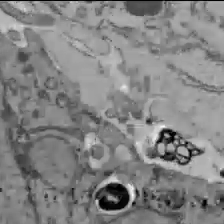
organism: C57BL Mouse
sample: Liver